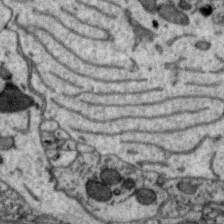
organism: Zebra finch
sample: Brain